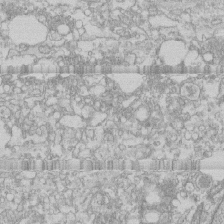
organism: Human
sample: CRL-1474